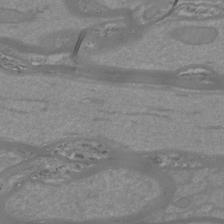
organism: Mouse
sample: Cortical neurons